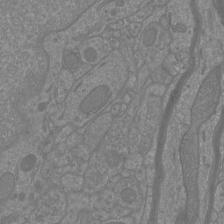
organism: Mouse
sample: Cortical neurons